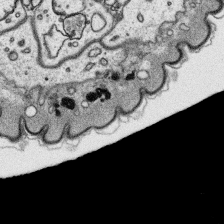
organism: Platynereis dumerilii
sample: Parapodia